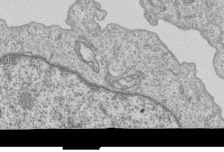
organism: Human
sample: MDA-MB-231 cells